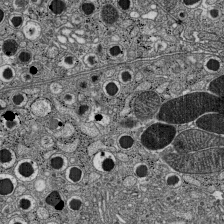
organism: C57BL Mouse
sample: Pancreatic islet